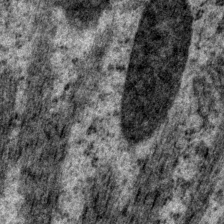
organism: P. pacificus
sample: Pharynx